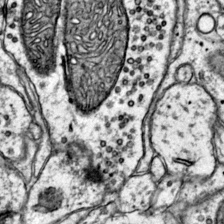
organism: Mouse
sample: Primary visual cortex